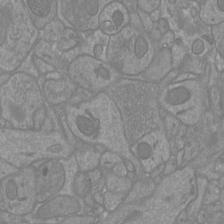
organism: Mouse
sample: Cortical neurons